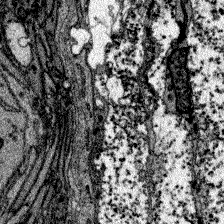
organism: Zebrafish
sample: Larval olfactory bulb